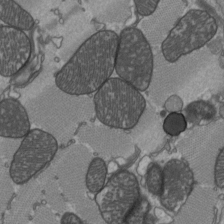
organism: C57BL Mouse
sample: Heart